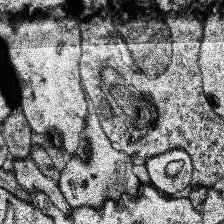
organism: Human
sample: Temporal Lobe